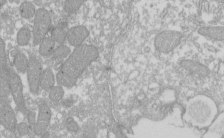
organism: Xenopus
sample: Cilia; centrioles in frog embryo cells